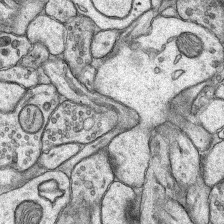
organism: Rat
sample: Hippocampus